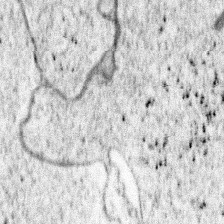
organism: Human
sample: HeLa cells